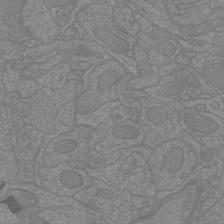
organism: Mouse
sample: Cortical neurons